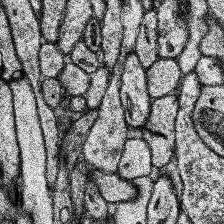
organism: Human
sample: Temporal Lobe